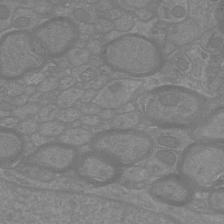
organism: Mouse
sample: Cortical neurons